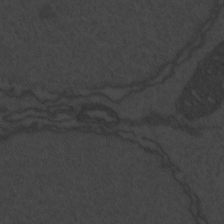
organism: Zebrafish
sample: Macrophage infected with Toxoplasma gondii